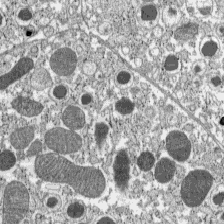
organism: C57BL Mouse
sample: Pancreatic islet